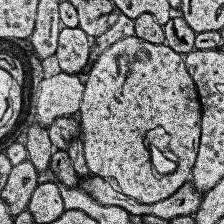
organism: Human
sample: Temporal Lobe